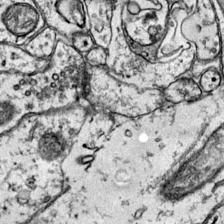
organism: Mouse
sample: Primary visual cortex